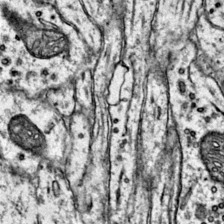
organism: Mouse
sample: Primary visual cortex